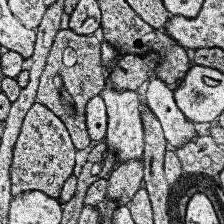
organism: Human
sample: Temporal Lobe